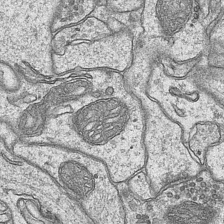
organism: Mouse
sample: CA1 Hippocampus